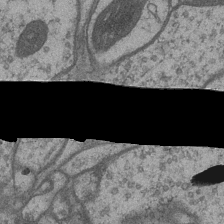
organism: Drosophila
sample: Optic medulla